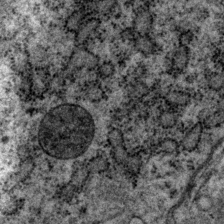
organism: P. pacificus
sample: Pharynx